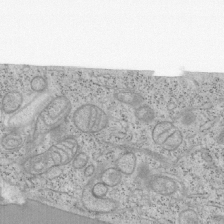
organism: Human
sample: HeLa cells